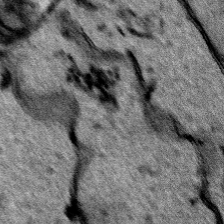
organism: Human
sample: Mitochondria in HCT116 cells